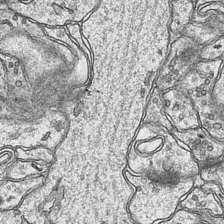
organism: Mouse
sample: CA1 Hippocampus